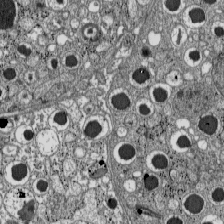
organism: C57BL Mouse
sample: Pancreatic islet